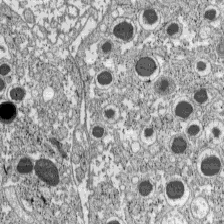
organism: C57BL Mouse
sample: Pancreatic islet